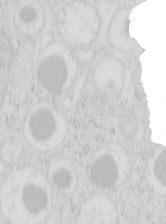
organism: Mouse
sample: Pancreas